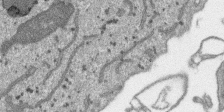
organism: Human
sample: Lung epithelial cells infected with SARS-CoV-2